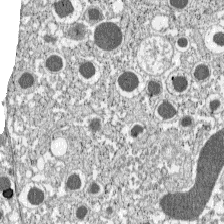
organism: C57BL Mouse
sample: Pancreatic islet